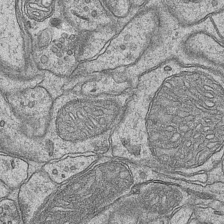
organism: Mouse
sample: CA1 Hippocampus